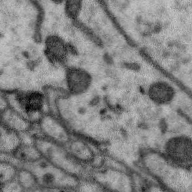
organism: Zebra finch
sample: Brain